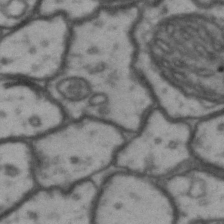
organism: Drosophila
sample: Brain